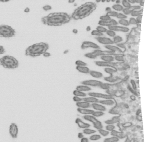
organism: Mouse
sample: Mouse epididymis efferent ductule cilia